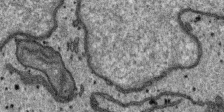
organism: Human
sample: Lung epithelial cells, uninfected (mock) control